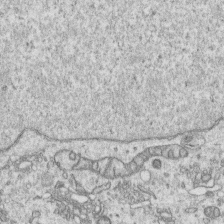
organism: Human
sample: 1205lu cells